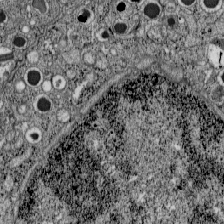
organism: C57BL Mouse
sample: Pancreatic islet